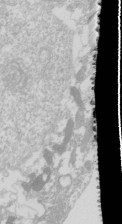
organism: Drosophila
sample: Cell division; meiosis; drosophila spermatocytes